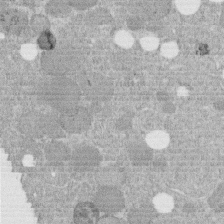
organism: C. elegans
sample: C. elegans embryo early stage